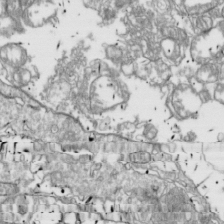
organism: Drosophila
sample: Cell division; meiosis; drosophila spermatocytes